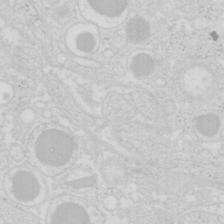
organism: Mouse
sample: Pancreas